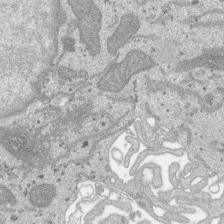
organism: Human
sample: Lung epithelial cells infected with SARS-CoV-2